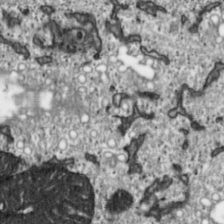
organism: Toxoplasma gondii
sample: Parasites in a vacuole inside a host cell